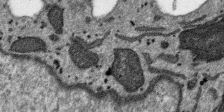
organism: Human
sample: Lung epithelial cells, uninfected (mock) control